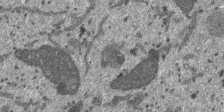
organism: Human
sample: Lung epithelial cells infected with SARS-CoV-2